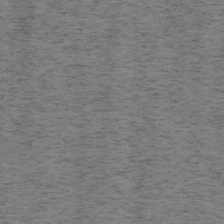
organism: Mouse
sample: OT-I killer T cells with ID8 ovarian cancer cells